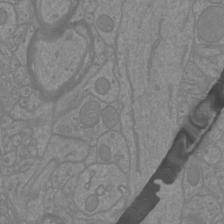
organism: Mouse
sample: Cortical neurons